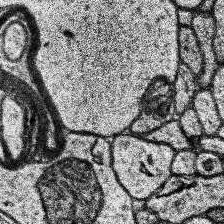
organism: Human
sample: Temporal Lobe